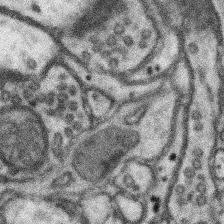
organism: Mouse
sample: Somatosensory cortex neuropil